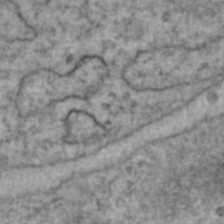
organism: Human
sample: Blood